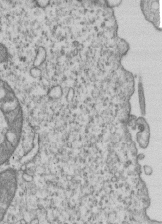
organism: Human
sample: MDA-MB-231 cells